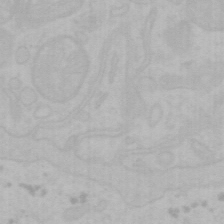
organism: Mouse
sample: Choroid plexus